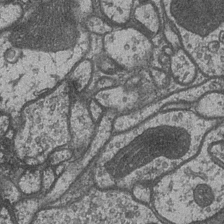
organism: Drosophila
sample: Optic medulla